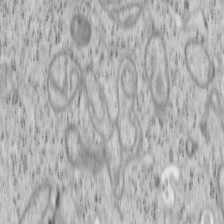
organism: Human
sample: HeLa cells